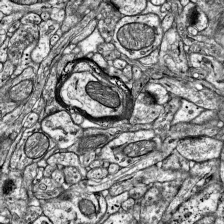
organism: Mouse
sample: Visual Cortex